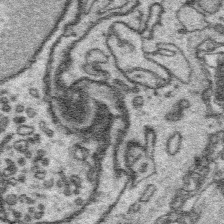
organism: Platynereis dumerilii